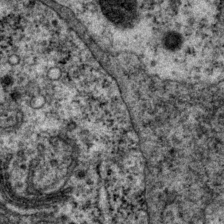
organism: P. pacificus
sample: Pharynx